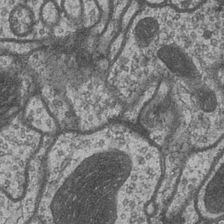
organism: Drosophila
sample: Optic medulla